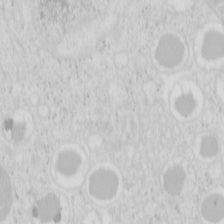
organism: Mouse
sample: Pancreas